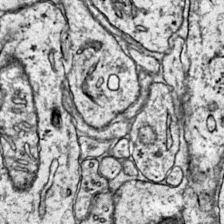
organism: Mouse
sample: Primary visual cortex